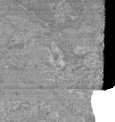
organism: Mouse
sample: Glomerulus